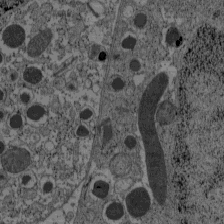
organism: C57BL Mouse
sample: Pancreatic islet